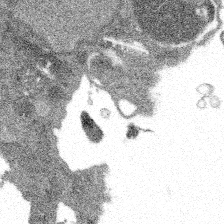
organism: Spongilla lacustris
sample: Multiple